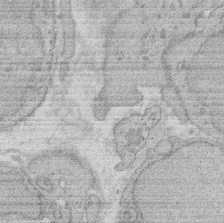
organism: Rat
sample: Salivary granule